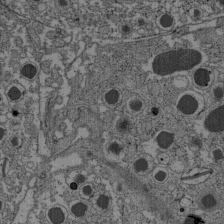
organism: C57BL Mouse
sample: Pancreatic islet